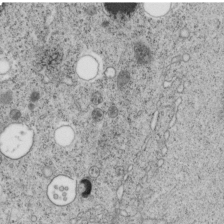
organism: C. elegans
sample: C. elegans embryo early stage